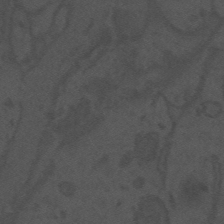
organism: Mouse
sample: Suprachiasmatic nucleus